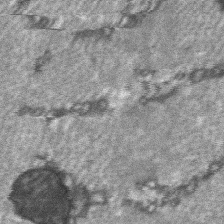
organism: C57BL Mouse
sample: Soleus